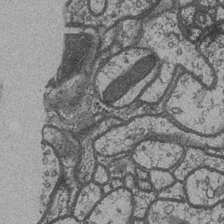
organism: Drosophila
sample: Optic medulla